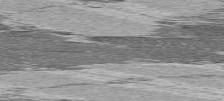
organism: C57BL Mouse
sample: Heart